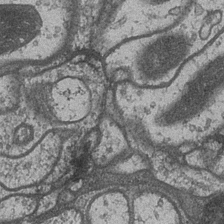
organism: Drosophila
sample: Optic medulla